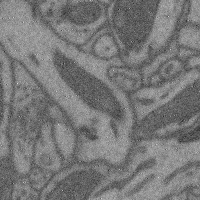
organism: Mouse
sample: Cerebral cortex